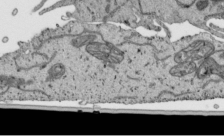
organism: Human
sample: Mitochondria in HCT116 cells